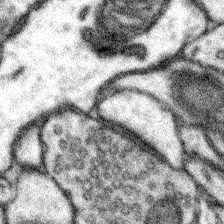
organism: Mouse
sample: Somatosensory cortex neuropil